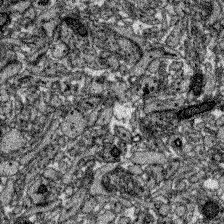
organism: Zebrafish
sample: Larval olfactory bulb